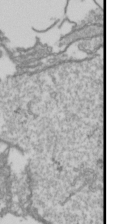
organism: Drosophila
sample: Cell division; meiosis; drosophila spermatocytes